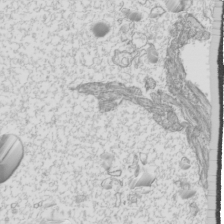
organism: Mouse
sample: Cilia; mouse epididymis